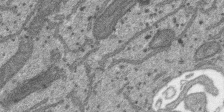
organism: Human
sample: Lung epithelial cells infected with SARS-CoV-2